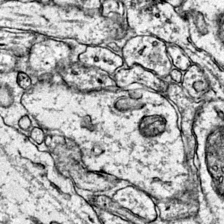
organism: Mouse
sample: Primary visual cortex